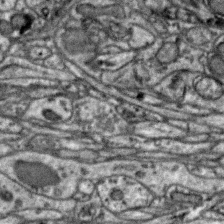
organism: Zebra finch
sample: Brain